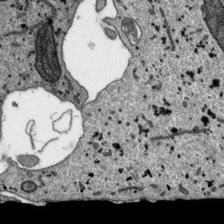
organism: Human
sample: Lung epithelial cells, uninfected (mock) control